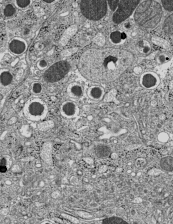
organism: C57BL Mouse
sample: Pancreatic islet